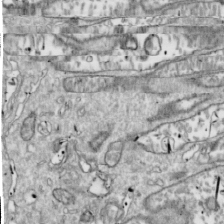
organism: Drosophila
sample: Cell division; meiosis; drosophila spermatocytes